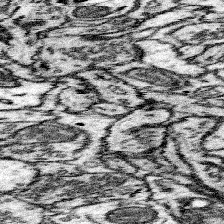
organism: Mouse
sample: Somatosensory cortex neuropil